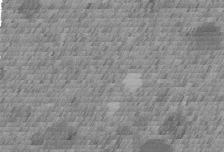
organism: C. elegans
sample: C. elegans embryo early stage